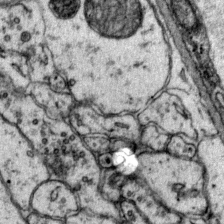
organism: Mouse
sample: Primary visual cortex